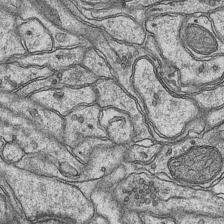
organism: Mouse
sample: CA1 Hippocampus